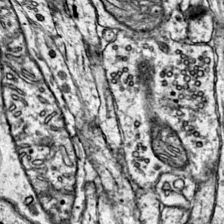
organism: Mouse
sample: Primary visual cortex